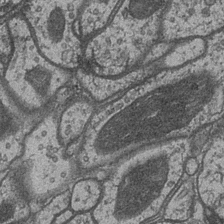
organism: Drosophila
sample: Optic medulla